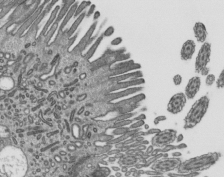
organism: Mouse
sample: Mouse epididymis efferent ductule cilia